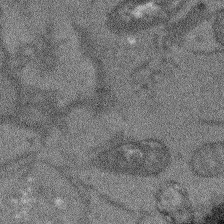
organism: Arabidopsis thaliana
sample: Root tip